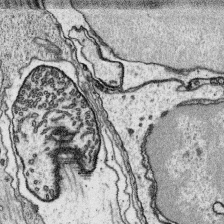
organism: Platynereis dumerilii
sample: Parapodia